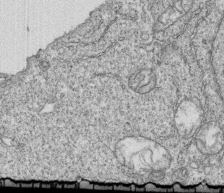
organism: Human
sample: HeLa cell HIV synapse